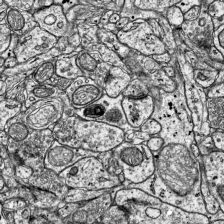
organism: Mouse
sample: Visual Cortex